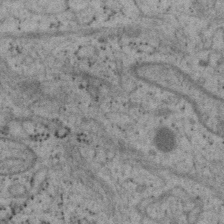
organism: Human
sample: HeLa cells